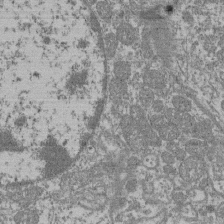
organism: Mouse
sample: Glomerulus